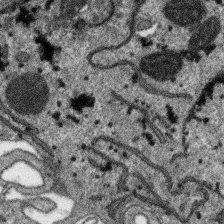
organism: Human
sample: Lung epithelial cells infected with SARS-CoV-2